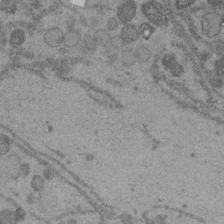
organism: C. elegans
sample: C. elegans embryo early stage